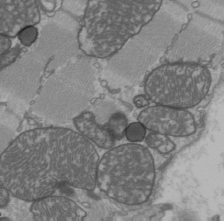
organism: C57BL Mouse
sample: Heart